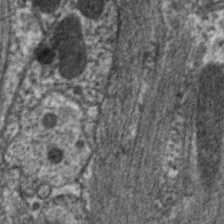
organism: C. elegans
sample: Pharynx